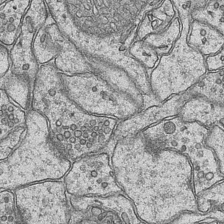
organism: Mouse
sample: CA1 Hippocampus